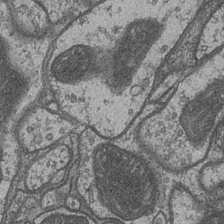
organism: Drosophila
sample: Optic medulla